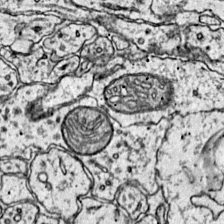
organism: Mouse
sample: Primary visual cortex